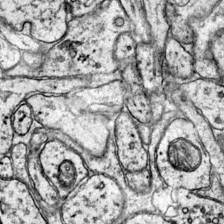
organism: Mouse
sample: Primary visual cortex